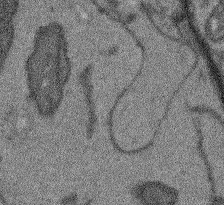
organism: Arabidopsis thaliana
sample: Root tip